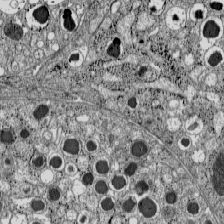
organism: C57BL Mouse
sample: Pancreatic islet